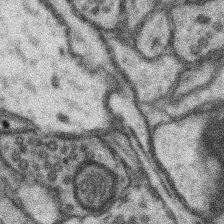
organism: Mouse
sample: Somatosensory cortex neuropil